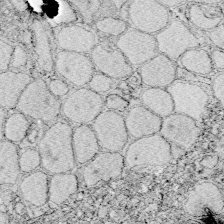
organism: Zebrafish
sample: Whole-Brain